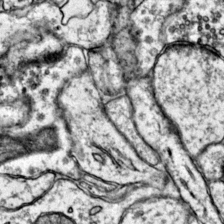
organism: Mouse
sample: Primary visual cortex